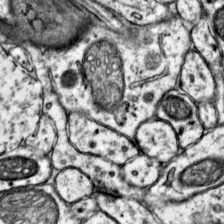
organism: Mouse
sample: Primary visual cortex